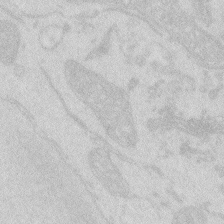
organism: Zebrafish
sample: Macrophage